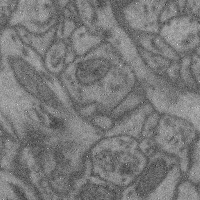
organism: Mouse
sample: Cerebral cortex